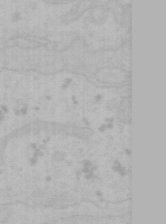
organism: Mouse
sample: Choroid plexus